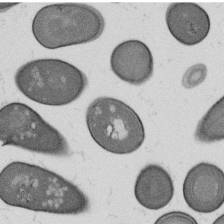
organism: B. subtilis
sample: Bacterial spore